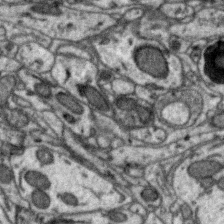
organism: Zebra finch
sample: Brain